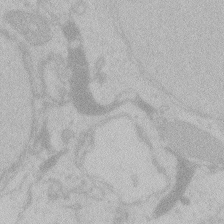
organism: Zebrafish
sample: Macrophage infected with Toxoplasma gondii